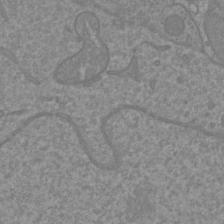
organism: Mouse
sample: Cortical neurons